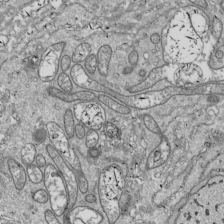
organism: Drosophila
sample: Cell division; meiosis; drosophila spermatocytes